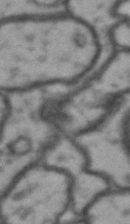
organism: Drosophila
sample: Brain